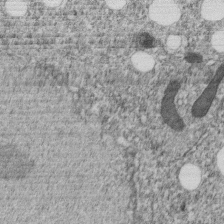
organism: C. elegans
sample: C. elegans embryo early stage